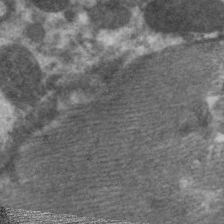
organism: C. elegans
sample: Pharynx